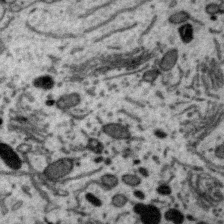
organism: Zebra finch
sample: Brain